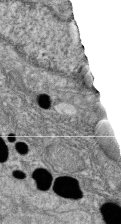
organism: Zebrafish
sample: Cilia; retinal pigment epithelium